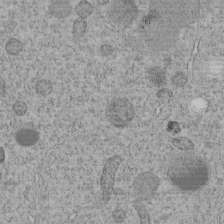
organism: C. elegans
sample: C. elegans embryo early stage